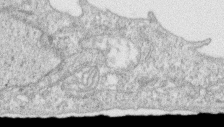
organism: Human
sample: HeLa cell HIV synapse